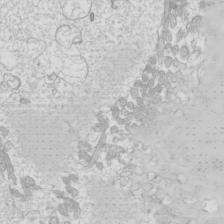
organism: Mouse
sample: Cilia; mouse epididymis